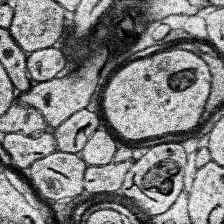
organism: Human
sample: Temporal Lobe